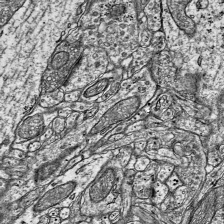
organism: Mouse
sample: Visual Cortex